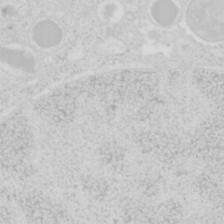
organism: Mouse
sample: Pancreas